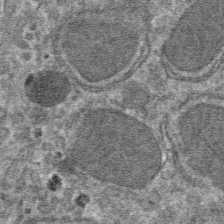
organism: Mouse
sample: Mouse hepatocytes